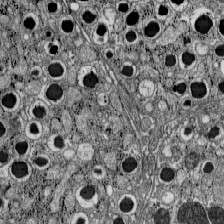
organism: C57BL Mouse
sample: Pancreatic islet